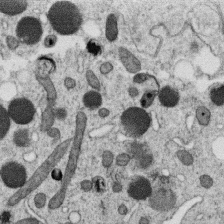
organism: C. elegans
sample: C. elegans oocyte; sperm cells